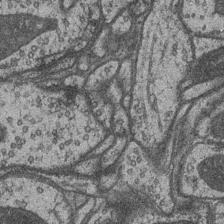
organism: Drosophila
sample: Optic medulla